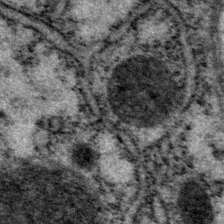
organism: P. pacificus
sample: Pharynx